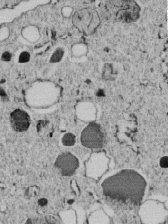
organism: C. elegans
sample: C. elegans embryo early stage